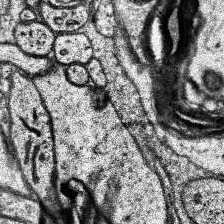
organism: Human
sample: Temporal Lobe